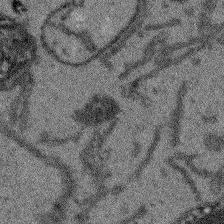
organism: Arabidopsis thaliana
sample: Root tip